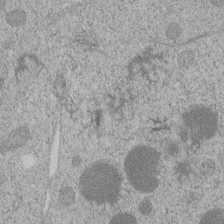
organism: C. elegans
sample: C. elegans embryo early stage